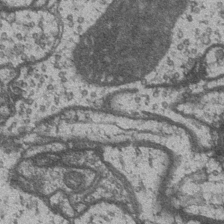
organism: Drosophila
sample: Optic medulla